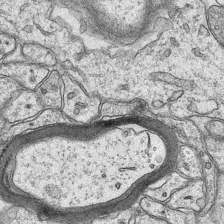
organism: Mouse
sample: CA1 Hippocampus